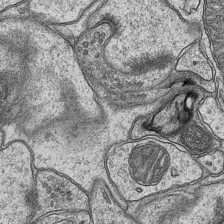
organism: Mouse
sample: CA1 Hippocampus